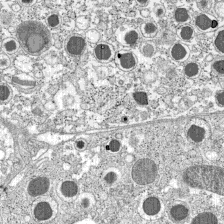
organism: C57BL Mouse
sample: Pancreatic islet